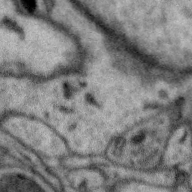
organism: Zebra finch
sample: Brain